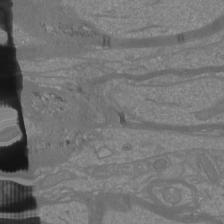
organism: Mouse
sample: Cortical neurons